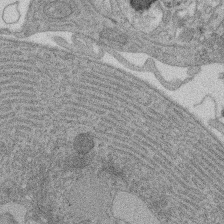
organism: Rat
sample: Salivary granule